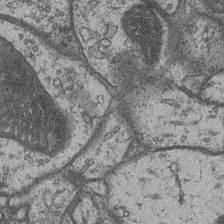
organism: Drosophila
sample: Optic medulla